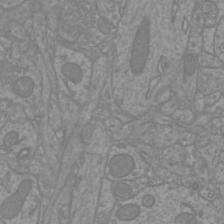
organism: Mouse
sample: Cortical neurons